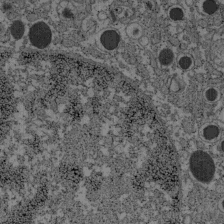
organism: C57BL Mouse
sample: Pancreatic islet